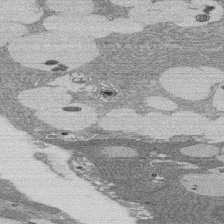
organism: Rat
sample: Salivary granule